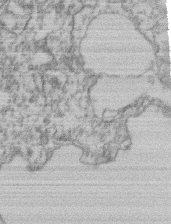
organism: Mouse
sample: T cell stromal cell synapse